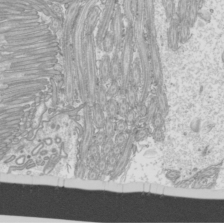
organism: Mouse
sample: Cilia; mouse epididymis